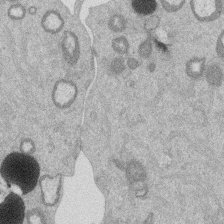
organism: Mouse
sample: Dividing mouse embryo 1 cell stage